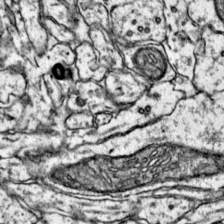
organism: Mouse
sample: Primary visual cortex